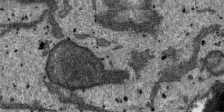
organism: Human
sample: Lung epithelial cells, uninfected (mock) control